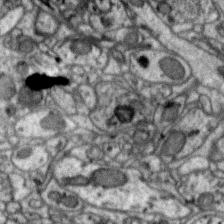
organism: Zebra finch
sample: Brain